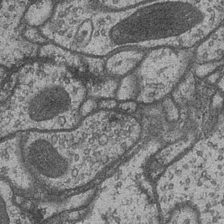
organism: Drosophila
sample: Optic medulla